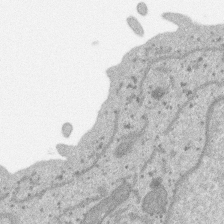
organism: Human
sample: Lung epithelial cells infected with SARS-CoV-2